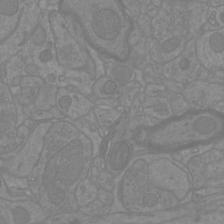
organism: Mouse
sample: Cortical neurons